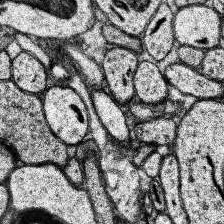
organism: Human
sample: Temporal Lobe